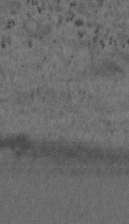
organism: Human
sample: HeLa cells